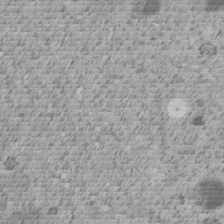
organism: C. elegans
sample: C. elegans embryo early stage